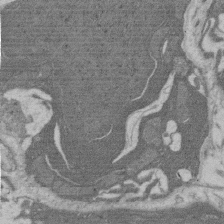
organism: Rat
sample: Salivary granule